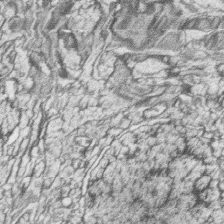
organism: Zebrafish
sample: synaptic ribbons in rod cells and cone cells